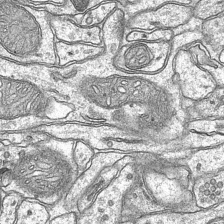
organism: Mouse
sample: CA1 Hippocampus